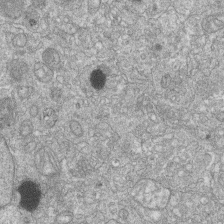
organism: Human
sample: HeLa cell HIV synapse